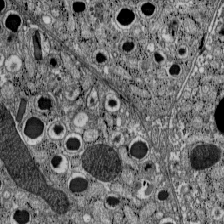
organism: C57BL Mouse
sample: Pancreatic islet